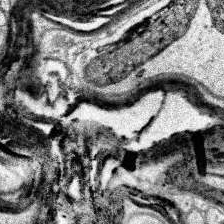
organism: Human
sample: Temporal Lobe